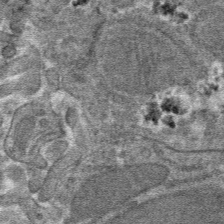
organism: Mouse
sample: Mouse hepatocytes